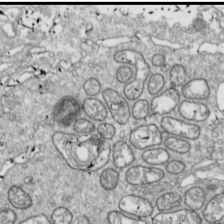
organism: Drosophila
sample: Cell division; meiosis; drosophila spermatocytes